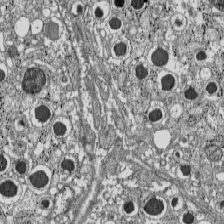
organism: C57BL Mouse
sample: Pancreatic islet